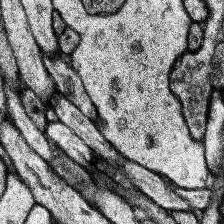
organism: Human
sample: Temporal Lobe